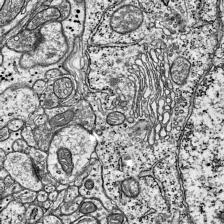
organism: Mouse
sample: Visual Cortex